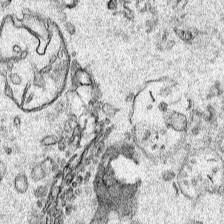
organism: Human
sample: Mitochondria in HCT116 cells